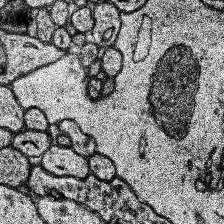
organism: Human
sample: Temporal Lobe